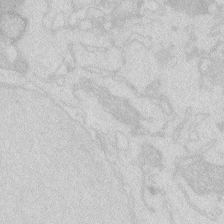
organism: Zebrafish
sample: Macrophage